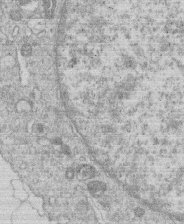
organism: Human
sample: Macrophage cells